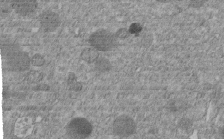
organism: C. elegans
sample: C. elegans embryo early stage